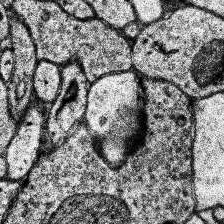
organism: Human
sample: Temporal Lobe